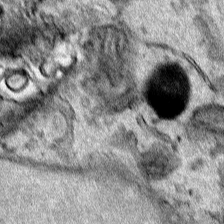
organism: Human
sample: Mitochondria in HCT116 cells